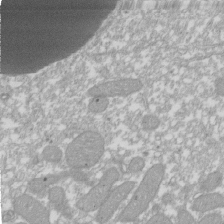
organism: Xenopus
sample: Cilia; centrioles in frog embryo cells